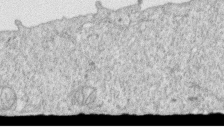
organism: Human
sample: HeLa cell HIV synapse